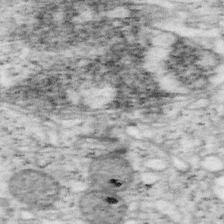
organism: Mouse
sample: OT-I killer T cells with ID8 ovarian cancer cells